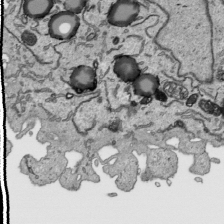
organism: Human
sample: Mitochondria in HCT116 cells